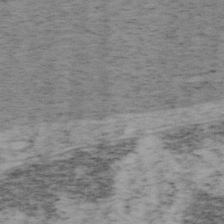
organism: Mouse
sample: OT-I killer T cells with ID8 ovarian cancer cells